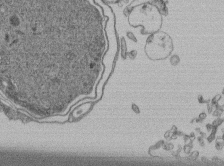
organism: Human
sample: Retinal organoid Rod and Cone cells